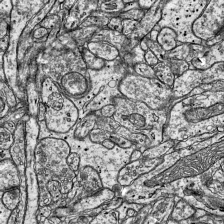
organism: Mouse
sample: Visual Cortex